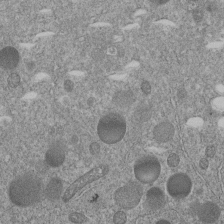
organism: C. elegans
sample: C. elegans embryo early stage